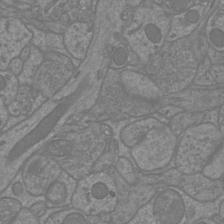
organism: Mouse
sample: Cortical neurons